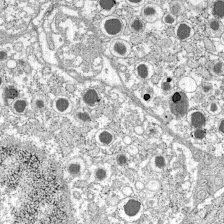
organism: C57BL Mouse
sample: Pancreatic islet